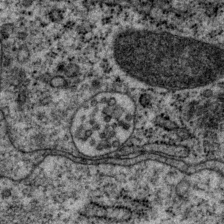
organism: P. pacificus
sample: Pharynx